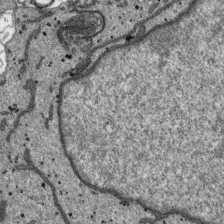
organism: Human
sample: Lung epithelial cells, uninfected (mock) control